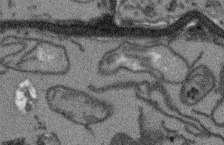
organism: Arabidopsis thaliana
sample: Root tip